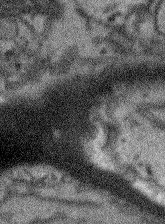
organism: Arabidopsis thaliana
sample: Root tip